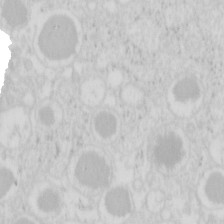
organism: Mouse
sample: Pancreas